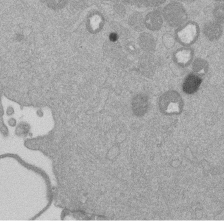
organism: Mouse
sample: Dividing mouse embryo 1 cell stage